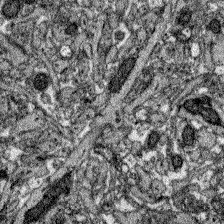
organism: Zebrafish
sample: Larval olfactory bulb